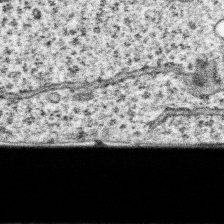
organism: Human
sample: HeLa cells